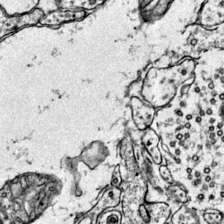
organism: Mouse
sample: Primary visual cortex